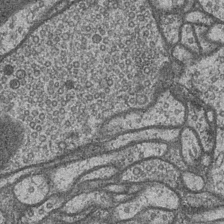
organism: Drosophila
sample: Optic medulla